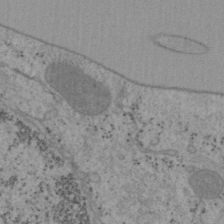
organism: Human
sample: HeLa cells